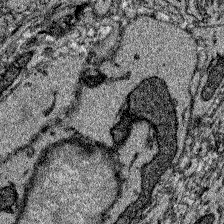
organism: Zebrafish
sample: Larval olfactory bulb